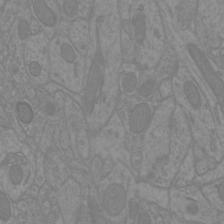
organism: Mouse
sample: Cortical neurons